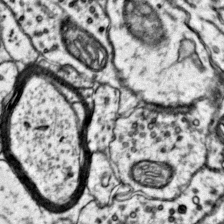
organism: Mouse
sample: Primary visual cortex